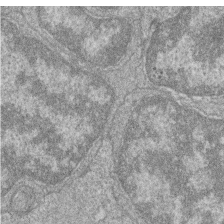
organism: Zebrafish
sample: Cilia; retinal pigment epithelium